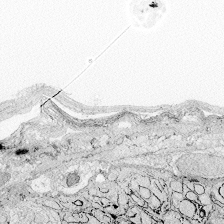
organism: Zebrafish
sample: Whole-Brain